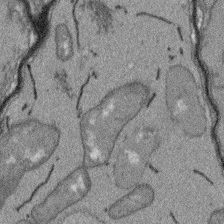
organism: Arabidopsis thaliana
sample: Root tip